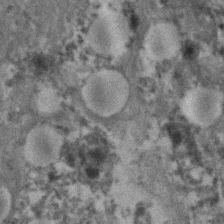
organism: Human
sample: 1205lu cells